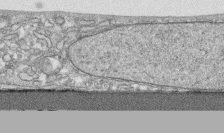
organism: Human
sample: CRL-1474